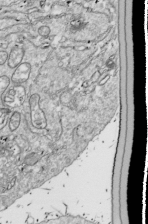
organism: Drosophila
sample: Cell division; meiosis; drosophila spermatocytes